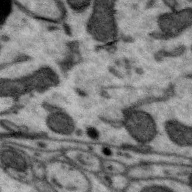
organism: Zebra finch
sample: Brain